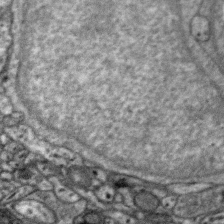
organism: Zebra finch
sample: Brain